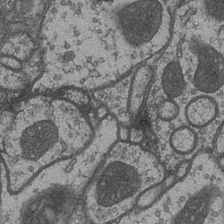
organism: Drosophila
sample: Optic medulla